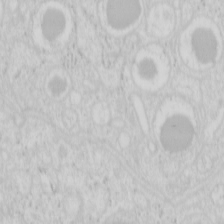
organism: Mouse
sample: Pancreas